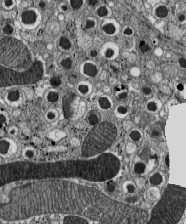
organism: C57BL Mouse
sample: Pancreatic islet